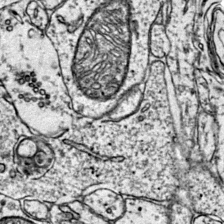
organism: Mouse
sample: Primary visual cortex